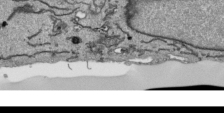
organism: Human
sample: Mitochondria in HCT116 cells